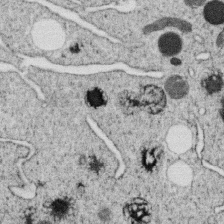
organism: C. elegans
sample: C. elegans oocyte; sperm cells